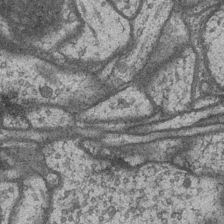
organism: Drosophila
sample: Optic medulla